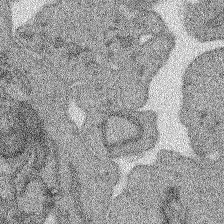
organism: Human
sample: HeLa cells